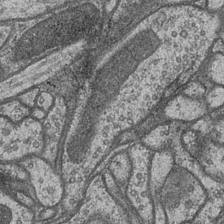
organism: Drosophila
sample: Optic medulla